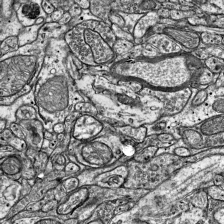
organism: Mouse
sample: Visual Cortex